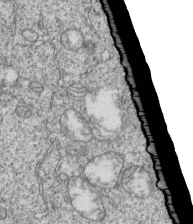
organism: Human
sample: HeLa cell HIV synapse